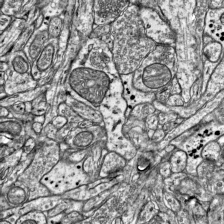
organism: Mouse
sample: Visual Cortex